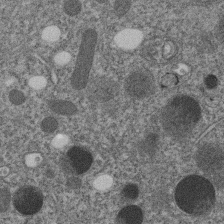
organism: C. elegans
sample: C. elegans embryo early stage